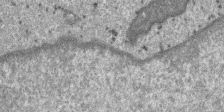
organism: Human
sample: Lung epithelial cells infected with SARS-CoV-2